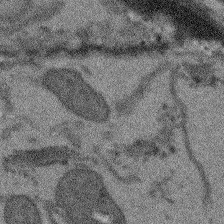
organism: Arabidopsis thaliana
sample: Root tip